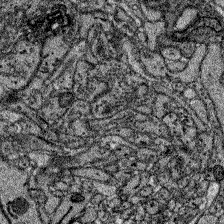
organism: Zebrafish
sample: Larval olfactory bulb